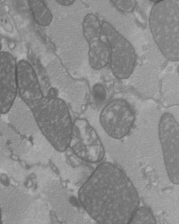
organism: C57BL Mouse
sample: Heart